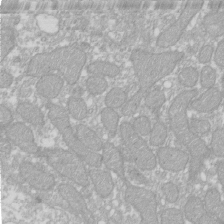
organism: Xenopus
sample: Cilia; centrioles in frog embryo cells